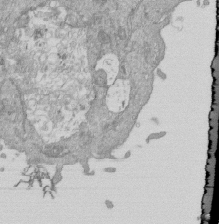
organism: Mouse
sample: ED-1 cell nuclei; centrioles